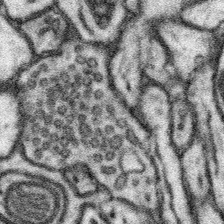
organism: Mouse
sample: Somatosensory cortex neuropil